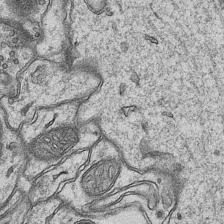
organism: Mouse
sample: CA1 Hippocampus